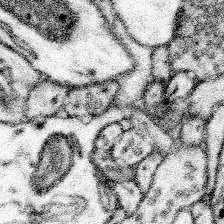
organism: Mouse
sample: Somatosensory cortex neuropil